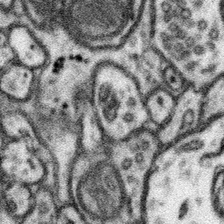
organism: Mouse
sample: Somatosensory cortex neuropil